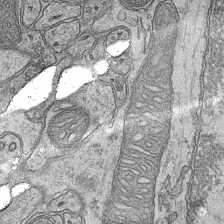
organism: Mouse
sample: CA1 Hippocampus